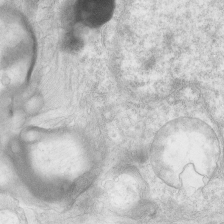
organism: Human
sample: Neocortex